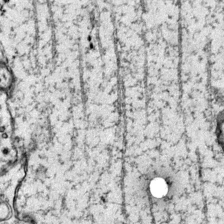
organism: Mouse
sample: Primary visual cortex